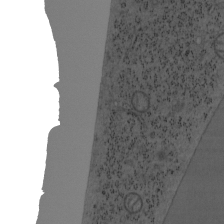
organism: Mouse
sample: OT-I killer T cells with ID8 ovarian cancer cells